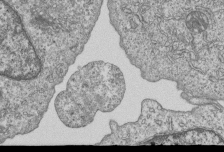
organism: Human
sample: MDA-MB-231 cells